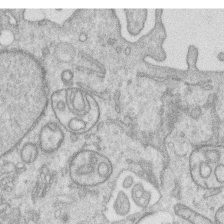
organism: Human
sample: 1205lu cells